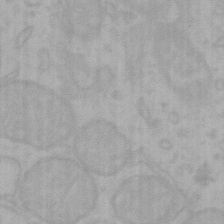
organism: Mouse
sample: Choroid plexus